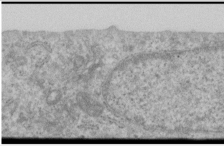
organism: Human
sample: Cilia; basal body in RPE cells